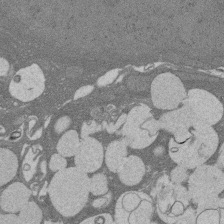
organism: Rat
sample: Salivary granule